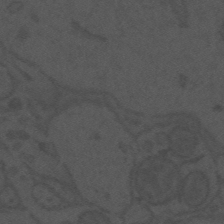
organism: Mouse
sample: Suprachiasmatic nucleus